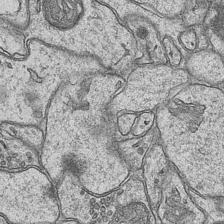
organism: Mouse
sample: CA1 Hippocampus